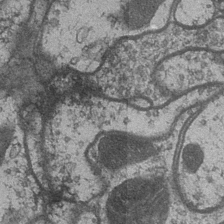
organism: Drosophila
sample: Optic medulla